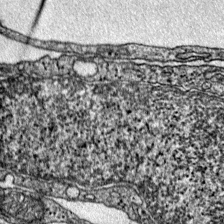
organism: Mouse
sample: Primary visual cortex